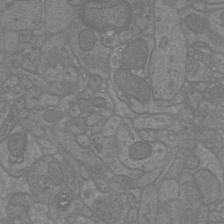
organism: Mouse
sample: Cortical neurons